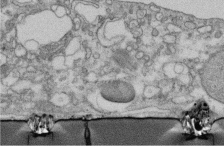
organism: Human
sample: Centriole in fibroblast cells